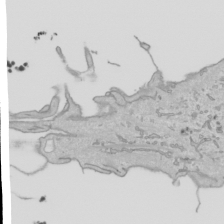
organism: Human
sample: Mitochondria in HCT116 cells